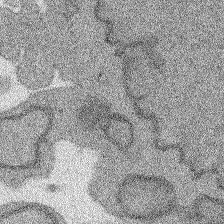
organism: Human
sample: HeLa cells